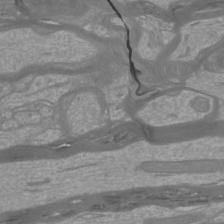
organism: Mouse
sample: Cortical neurons